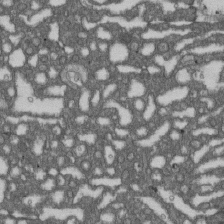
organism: Drosophila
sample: Nephrocyte